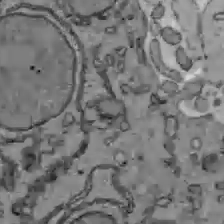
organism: C57BL Mouse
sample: Liver